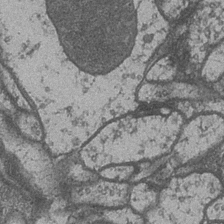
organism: Drosophila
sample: Optic medulla